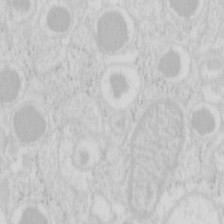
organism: Mouse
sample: Pancreas